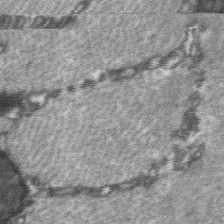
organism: C57BL Mouse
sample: Soleus